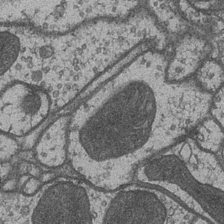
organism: Drosophila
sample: Optic medulla